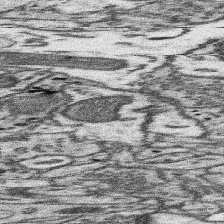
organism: Mouse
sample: Somatosensory cortex neuropil